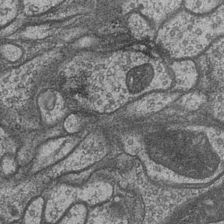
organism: Drosophila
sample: Optic medulla